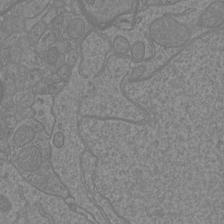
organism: Mouse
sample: Cortical neurons